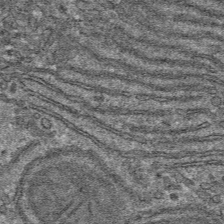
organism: Mouse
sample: Mouse hepatocytes